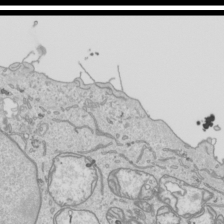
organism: Human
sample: Mitochondria in HCT116 cells